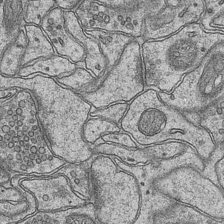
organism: Mouse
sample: CA1 Hippocampus